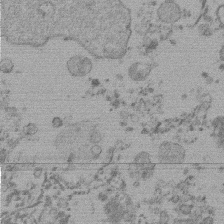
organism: Mouse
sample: Dividing mouse embryo 1 cell stage